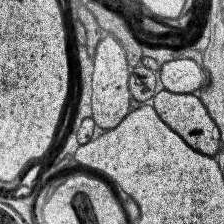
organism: Human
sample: Temporal Lobe